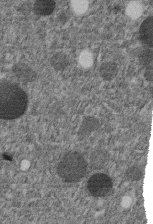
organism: C. elegans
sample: C. elegans embryo early stage